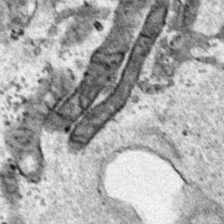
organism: Human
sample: Mitochondria in HCT116 cells